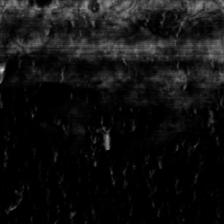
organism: Toxoplasma gondii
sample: Parasites in a vacuole inside a host cell